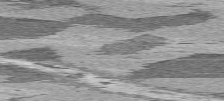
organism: C57BL Mouse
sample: Heart